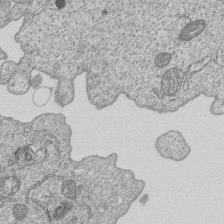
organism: Human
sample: MDA-MB-231 cells